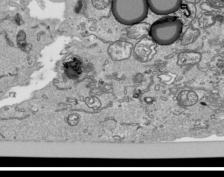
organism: Human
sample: Mitochondria in HCT116 cells